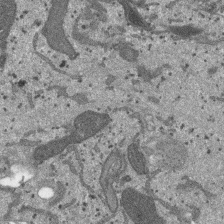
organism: Human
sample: Lung epithelial cells infected with SARS-CoV-2